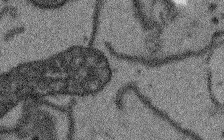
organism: Arabidopsis thaliana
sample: Root tip